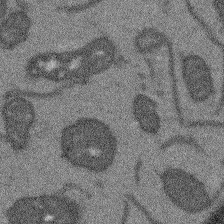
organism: Arabidopsis thaliana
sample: Root tip